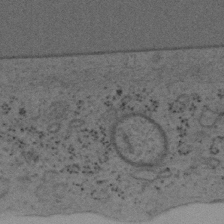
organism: Human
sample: HeLa cells